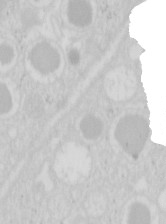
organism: Mouse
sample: Pancreas